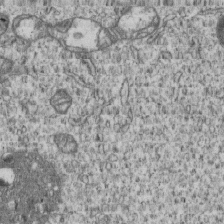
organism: Human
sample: MDA-MB-231 cells